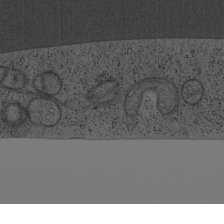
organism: African green monkey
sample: COS-7 cells